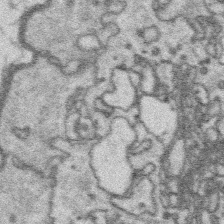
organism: Platynereis dumerilii